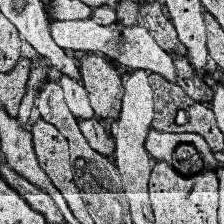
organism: Human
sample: Temporal Lobe